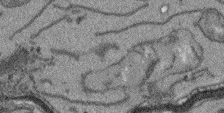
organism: Arabidopsis thaliana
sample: Root tip